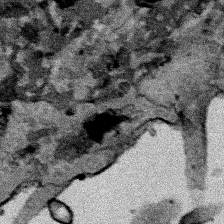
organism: Human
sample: Mitochondria in HCT116 cells